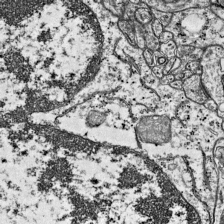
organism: Mouse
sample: Visual Cortex